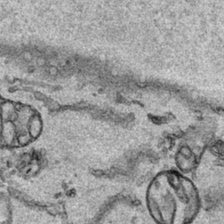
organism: Human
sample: Mitochondria in HCT116 cells